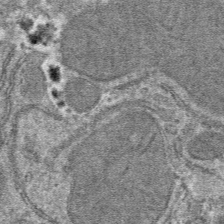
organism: Mouse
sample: Mouse hepatocytes